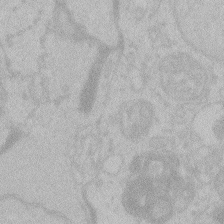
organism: Zebrafish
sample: Macrophage infected with Toxoplasma gondii